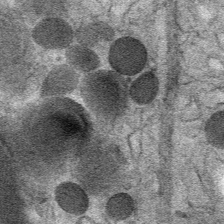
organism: Mouse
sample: Mouse Salivary gland